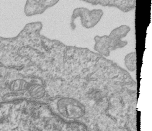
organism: Human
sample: MDA-MB-231 cells